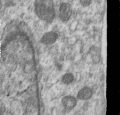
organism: Human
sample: Centriole in RPE cells